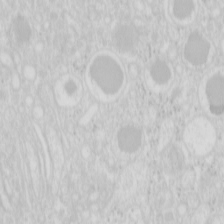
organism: Mouse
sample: Pancreas